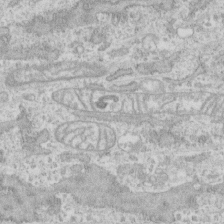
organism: Human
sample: CRL-1474